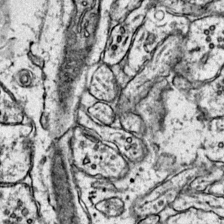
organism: Mouse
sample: Primary visual cortex